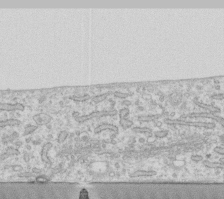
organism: Human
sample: Fibroblast cells